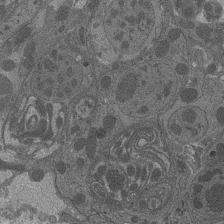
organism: Drosophila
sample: Antenna